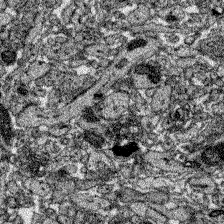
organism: Zebrafish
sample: Larval olfactory bulb